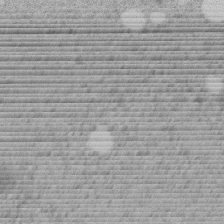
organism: C. elegans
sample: C. elegans embryo early stage